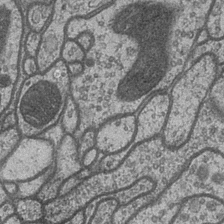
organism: Drosophila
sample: Optic medulla